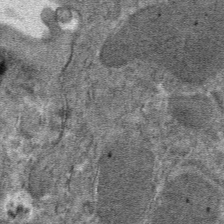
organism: Mouse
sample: Mouse hepatocytes